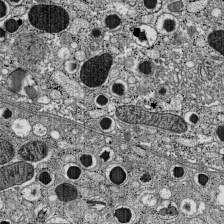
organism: C57BL Mouse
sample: Pancreatic islet